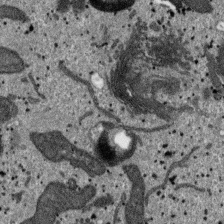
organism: Human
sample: Lung epithelial cells, uninfected (mock) control